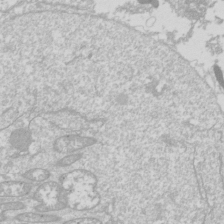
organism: Drosophila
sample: Cell division; meiosis; drosophila spermatocytes